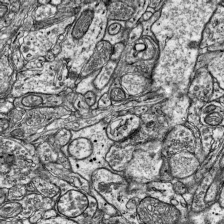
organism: Mouse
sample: Visual Cortex